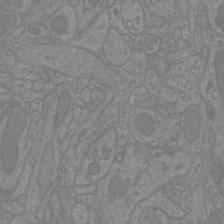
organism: Mouse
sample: Cortical neurons